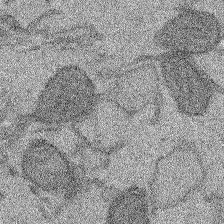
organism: Human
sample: HeLa cells